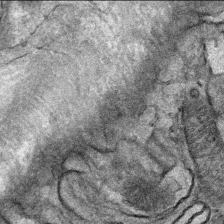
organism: Mouse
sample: Mouse Salivary gland